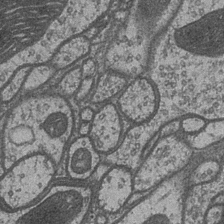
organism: Drosophila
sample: Optic medulla